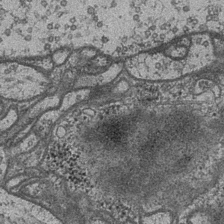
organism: Drosophila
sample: Optic medulla